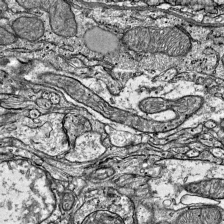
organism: Mouse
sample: Visual Cortex